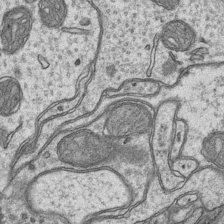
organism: Mouse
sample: CA1 Hippocampus